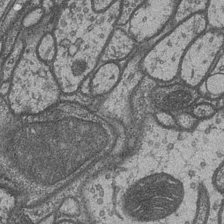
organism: Drosophila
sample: Optic medulla